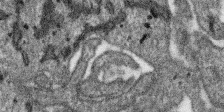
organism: Human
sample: Lung epithelial cells infected with SARS-CoV-2